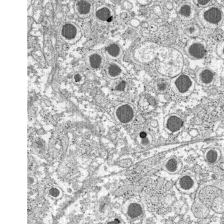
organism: C57BL Mouse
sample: Pancreatic islet